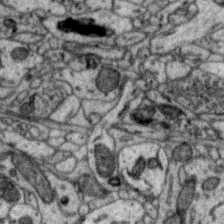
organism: Zebra finch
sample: Brain